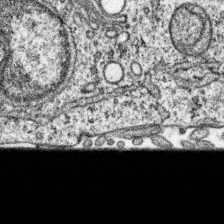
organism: Human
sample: HeLa cells